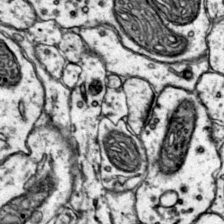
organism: Mouse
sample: Primary visual cortex